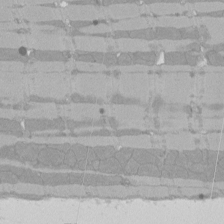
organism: Rat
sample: Left ventricle